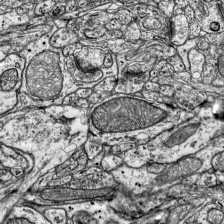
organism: Mouse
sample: Visual Cortex